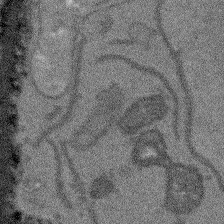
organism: Arabidopsis thaliana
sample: Root tip